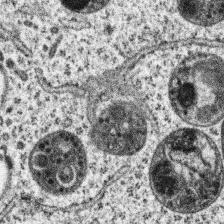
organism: Human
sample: HeLa cells